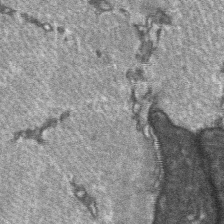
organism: C57BL Mouse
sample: Soleus